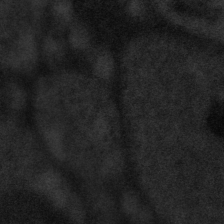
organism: Tuwongella immobilis